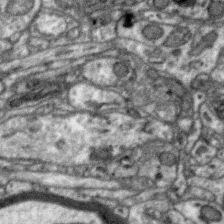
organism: Zebra finch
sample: Brain